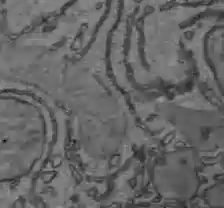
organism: C57BL Mouse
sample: Liver